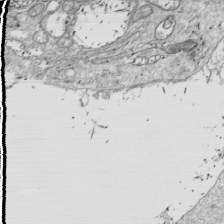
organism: Drosophila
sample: Cell division; meiosis; drosophila spermatocytes